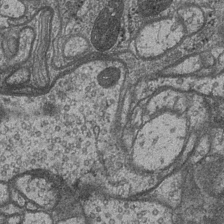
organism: Drosophila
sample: Optic medulla